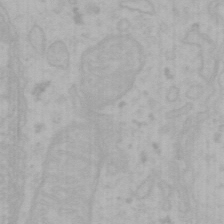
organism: Mouse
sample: Choroid plexus